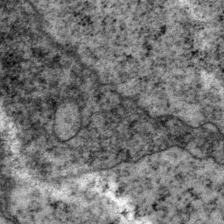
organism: P. pacificus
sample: Pharynx